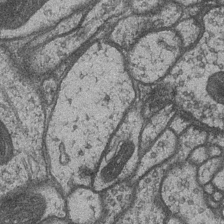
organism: Drosophila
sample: Optic medulla